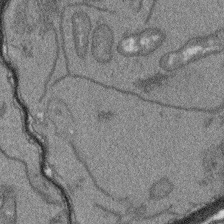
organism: Arabidopsis thaliana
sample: Root tip